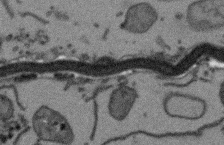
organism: Arabidopsis thaliana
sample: Root tip